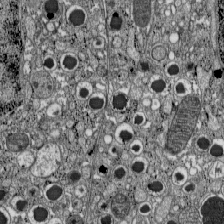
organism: C57BL Mouse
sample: Pancreatic islet